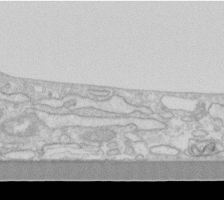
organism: Human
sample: Fibroblast cells